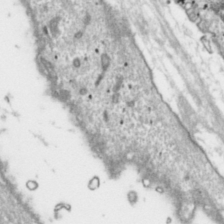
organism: Toxoplasma gondii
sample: Parasites in a vacuole inside a host cell